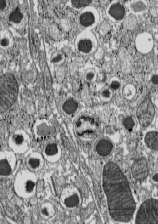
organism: C57BL Mouse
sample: Pancreatic islet